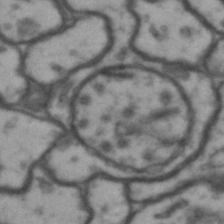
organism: Drosophila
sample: Brain